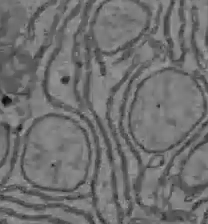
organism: C57BL Mouse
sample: Liver